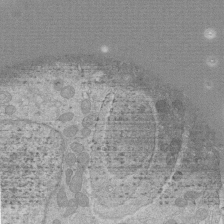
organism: Human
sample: Macrophage cells